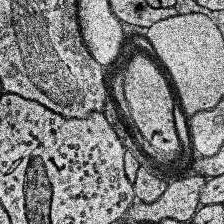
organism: Human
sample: Temporal Lobe